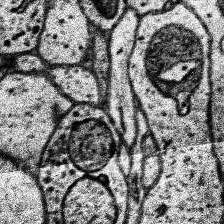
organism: Human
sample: Temporal Lobe